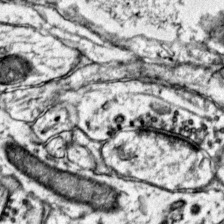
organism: Mouse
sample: Primary visual cortex